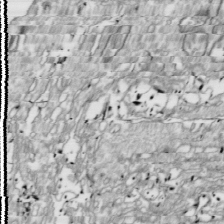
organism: Drosophila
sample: Cell division; meiosis; drosophila spermatocytes